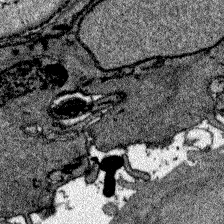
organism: Zebrafish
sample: Larval olfactory bulb